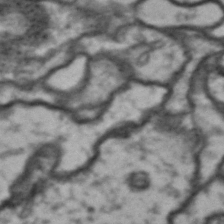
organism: Drosophila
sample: Brain